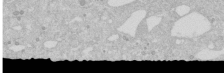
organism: Human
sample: Caco-2 cells